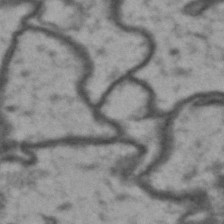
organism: Drosophila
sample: Brain